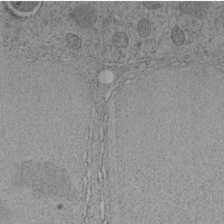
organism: C. elegans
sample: C. elegans embryo early stage